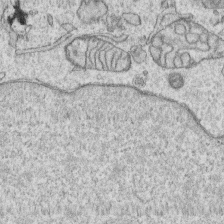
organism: Human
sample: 1205lu cells